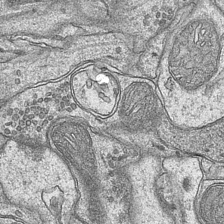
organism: Mouse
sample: CA1 Hippocampus